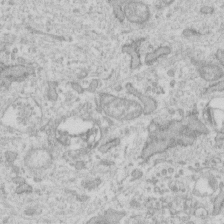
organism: Human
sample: Fibroblast cells